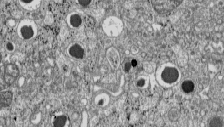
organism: C57BL Mouse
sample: Pancreatic islet